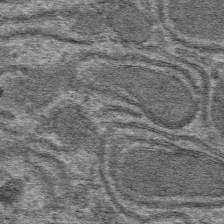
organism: Mouse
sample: Mouse hepatocytes